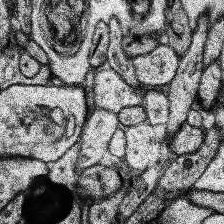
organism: Human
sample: Temporal Lobe